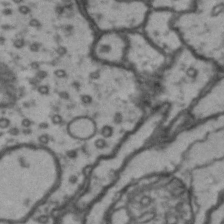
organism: Drosophila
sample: Brain